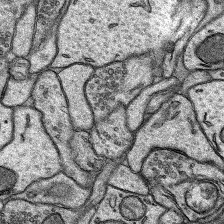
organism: Rat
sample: Hippocampus